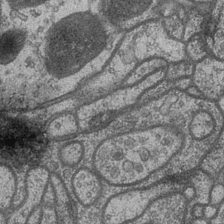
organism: Drosophila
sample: Optic medulla